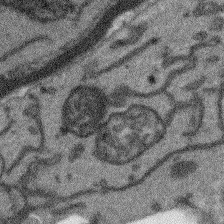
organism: Arabidopsis thaliana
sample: Root tip